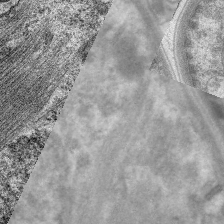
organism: C. elegans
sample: Pharynx